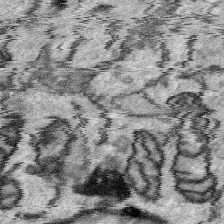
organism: Human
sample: HeLa cells